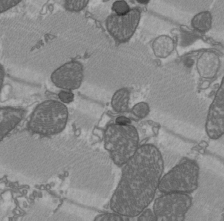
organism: C57BL Mouse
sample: Heart